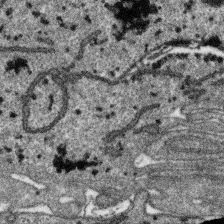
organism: Human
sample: Lung epithelial cells infected with SARS-CoV-2